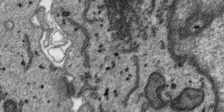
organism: Human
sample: Lung epithelial cells, uninfected (mock) control